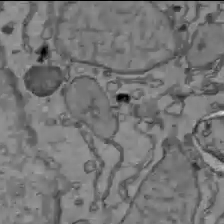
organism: C57BL Mouse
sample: Liver